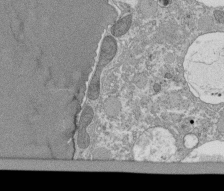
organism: Tetrahymena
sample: Cilia in tetrahymena